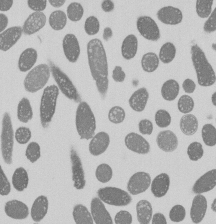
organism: E. coli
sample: Bacterial nucleoid